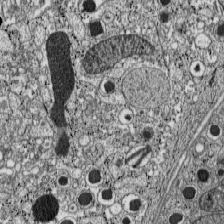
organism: C57BL Mouse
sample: Pancreatic islet